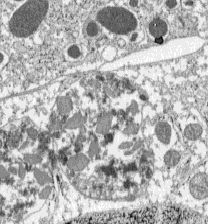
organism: C57BL Mouse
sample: Pancreatic islet